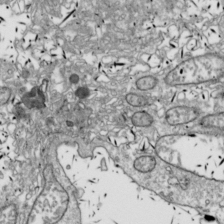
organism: Drosophila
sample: Cell division; meiosis; drosophila spermatocytes